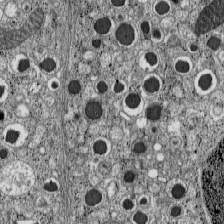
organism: C57BL Mouse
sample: Pancreatic islet